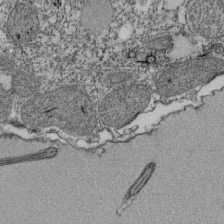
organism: Tetrahymena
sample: Cilia in tetrahymena